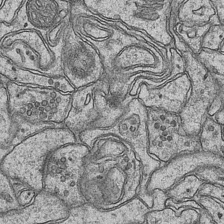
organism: Mouse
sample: CA1 Hippocampus